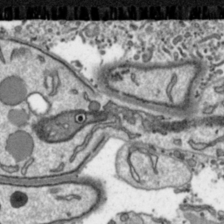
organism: Toxoplasma gondii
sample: Parasites in a vacuole inside a host cell